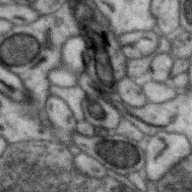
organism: Zebra finch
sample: Brain